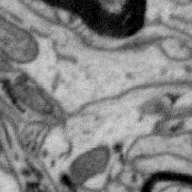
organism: Zebra finch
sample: Brain